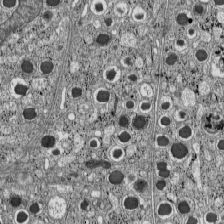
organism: C57BL Mouse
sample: Pancreatic islet